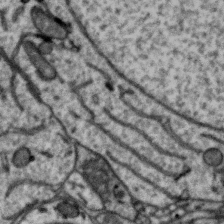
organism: Zebra finch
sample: Brain